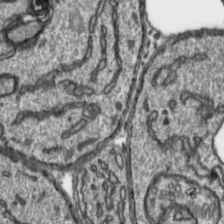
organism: Toxoplasma gondii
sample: Parasites in a vacuole inside a host cell